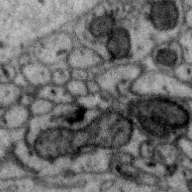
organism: Zebra finch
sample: Brain